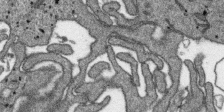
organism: Human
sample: Lung epithelial cells, uninfected (mock) control